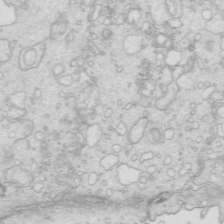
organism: Mouse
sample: Multiciliated cells